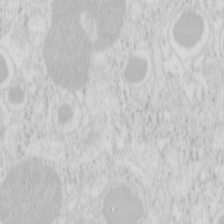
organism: Mouse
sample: Pancreas